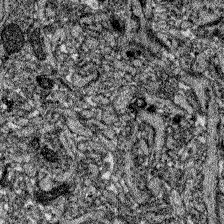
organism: Zebrafish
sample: Larval olfactory bulb